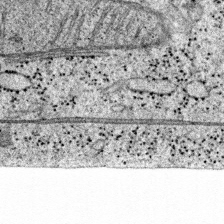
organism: Human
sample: HeLa cells